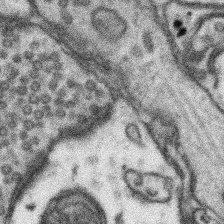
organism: Mouse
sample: Somatosensory cortex neuropil